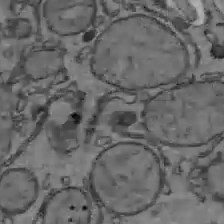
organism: C57BL Mouse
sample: Liver